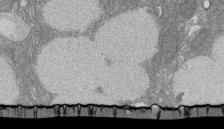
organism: Rat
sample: Salivary granule